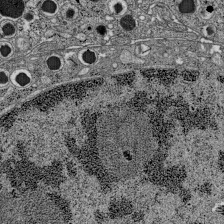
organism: C57BL Mouse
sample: Pancreatic islet